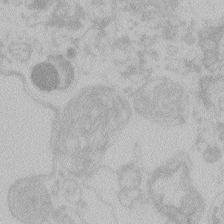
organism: Zebrafish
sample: Macrophage infected with Toxoplasma gondii